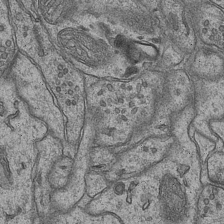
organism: Mouse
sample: CA1 Hippocampus